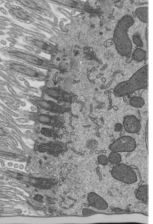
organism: Mouse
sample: Mouse epididymis efferent ductule cilia